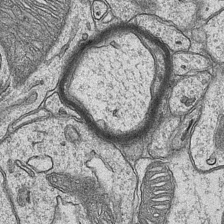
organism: Mouse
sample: CA1 Hippocampus